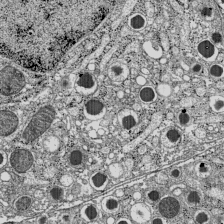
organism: C57BL Mouse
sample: Pancreatic islet